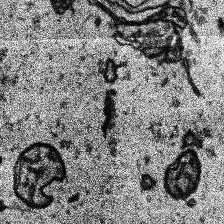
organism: Human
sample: Temporal Lobe